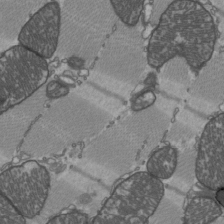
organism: C57BL Mouse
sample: Heart